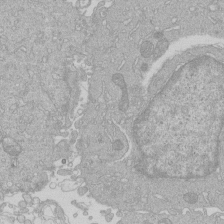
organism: Human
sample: Macrophage cells